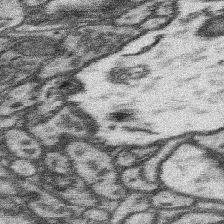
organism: Mouse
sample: Somatosensory cortex neuropil